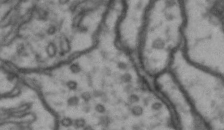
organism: Drosophila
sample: Brain